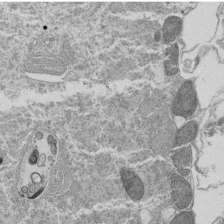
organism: Tetrahymena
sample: Cilia in tetrahymena